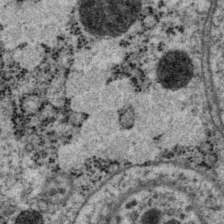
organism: P. pacificus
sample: Pharynx